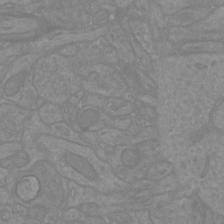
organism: Mouse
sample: Cortical neurons